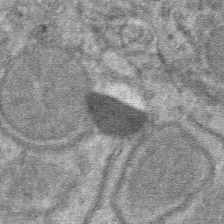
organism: Mouse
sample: Mouse hepatocytes